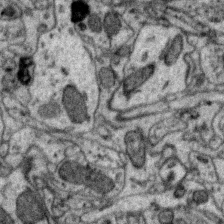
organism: Zebra finch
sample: Brain